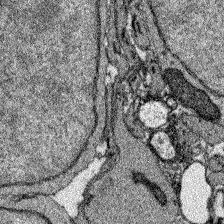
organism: Zebrafish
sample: Larval olfactory bulb